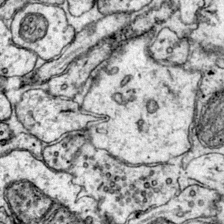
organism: Mouse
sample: Primary visual cortex